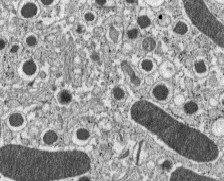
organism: C57BL Mouse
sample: Pancreatic islet